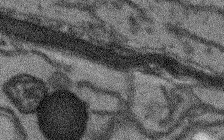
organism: Arabidopsis thaliana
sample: Root tip